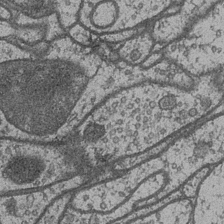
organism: Drosophila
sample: Optic medulla